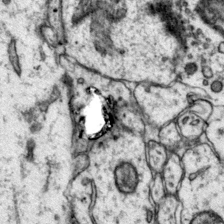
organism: Mouse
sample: Primary visual cortex